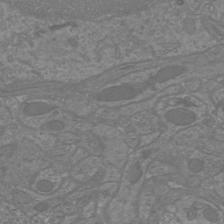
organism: Mouse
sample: Cortical neurons